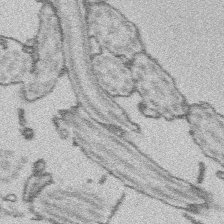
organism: Platynereis dumerilii